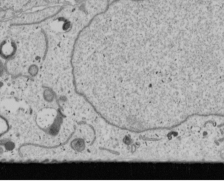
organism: Human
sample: Mitochondria in U2OS cells